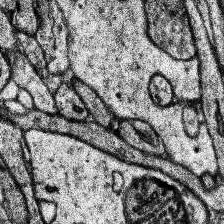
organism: Human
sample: Temporal Lobe